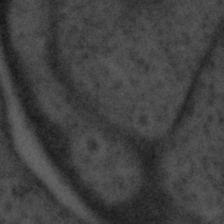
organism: Tuwongella immobilis